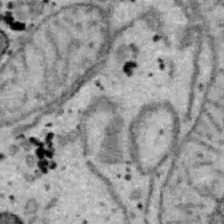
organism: Mouse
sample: Liver from an obese (ob/ob) mouse